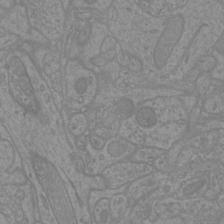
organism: Mouse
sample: Cortical neurons